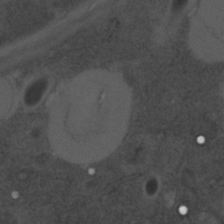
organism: C. elegans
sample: C. elegans embryo